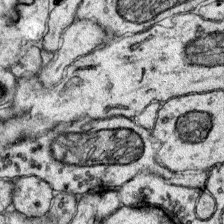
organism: Mouse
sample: Primary visual cortex